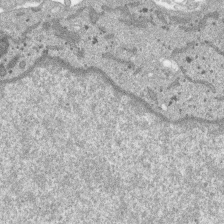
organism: Human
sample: Lung epithelial cells infected with SARS-CoV-2